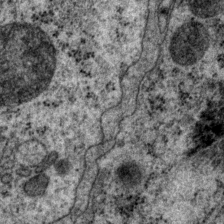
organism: P. pacificus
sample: Pharynx